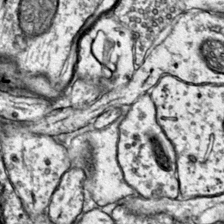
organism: Mouse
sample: Primary visual cortex